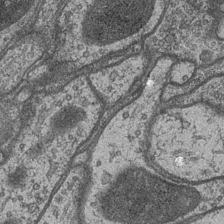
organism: Drosophila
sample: Optic medulla